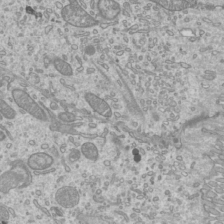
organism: Mouse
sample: Cilia; mouse epididymis